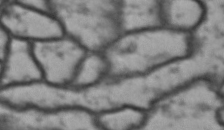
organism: Drosophila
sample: Brain